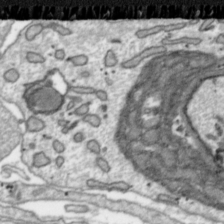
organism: Toxoplasma gondii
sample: Parasites in a vacuole inside a host cell